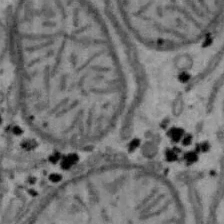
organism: Mouse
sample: Liver